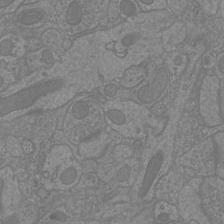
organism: Mouse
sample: Cortical neurons